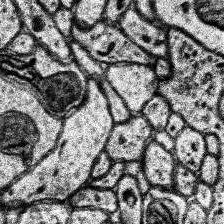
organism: Human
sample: Temporal Lobe